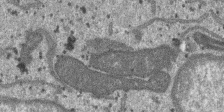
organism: Human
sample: Lung epithelial cells infected with SARS-CoV-2